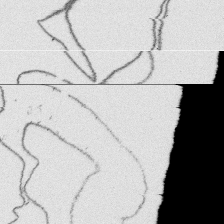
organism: Platynereis dumerilii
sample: Parapodia